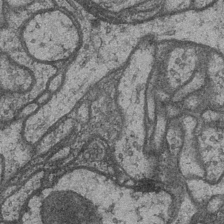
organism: Drosophila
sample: Optic medulla